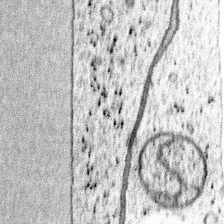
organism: Human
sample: HeLa cells